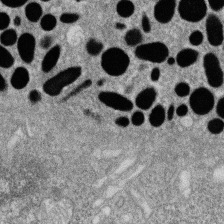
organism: Zebrafish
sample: Cilia; retinal pigment epithelium